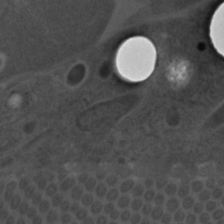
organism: C. elegans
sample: C. elegans embryo